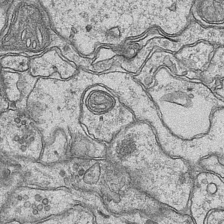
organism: Mouse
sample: CA1 Hippocampus